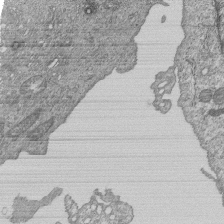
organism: Human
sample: MDA-MB-231 cells